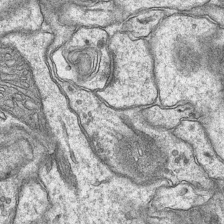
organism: Mouse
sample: CA1 Hippocampus